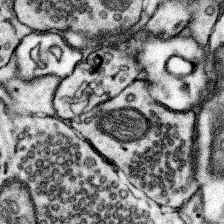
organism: Mouse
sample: Somatosensory cortex neuropil